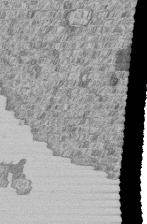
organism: Human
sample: MDA-MB-231 cells